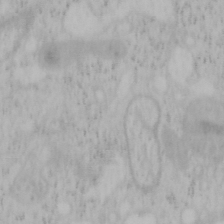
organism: Mouse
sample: OT-I killer T cells with ID8 ovarian cancer cells